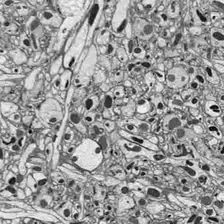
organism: Drosophila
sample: Optic lobe